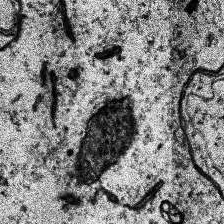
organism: Human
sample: Temporal Lobe